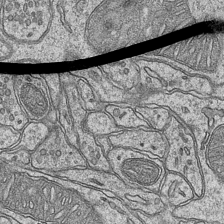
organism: Mouse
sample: CA1 Hippocampus